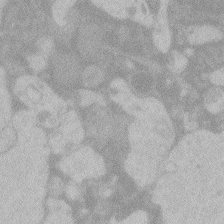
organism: Zebrafish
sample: Macrophage infected with Toxoplasma gondii